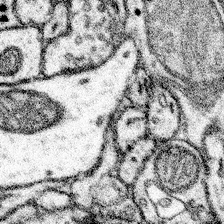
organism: Mouse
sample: Somatosensory cortex neuropil